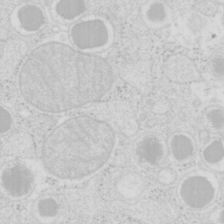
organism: Mouse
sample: Pancreas